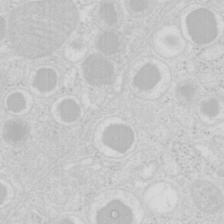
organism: Mouse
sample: Pancreas